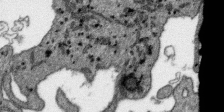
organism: Human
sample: Lung epithelial cells, uninfected (mock) control